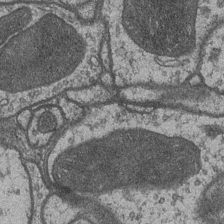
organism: Drosophila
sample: Optic medulla